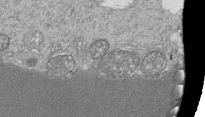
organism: Tetrahymena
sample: Cilia in tetrahymena